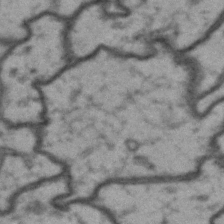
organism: Drosophila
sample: Brain